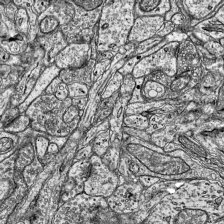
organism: Mouse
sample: Visual Cortex